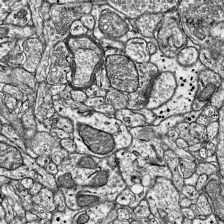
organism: Mouse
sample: Visual Cortex